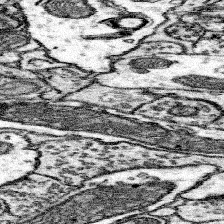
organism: Mouse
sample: Somatosensory cortex neuropil